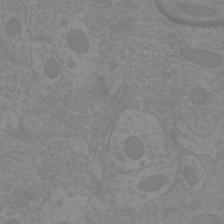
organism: Mouse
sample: Cortical neurons